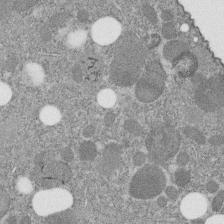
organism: C. elegans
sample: C. elegans embryo early stage